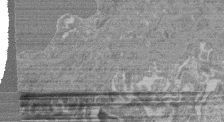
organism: Mouse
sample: Glomerulus